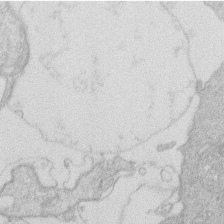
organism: Human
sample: Macrophage cells